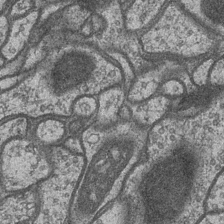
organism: Drosophila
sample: Optic medulla